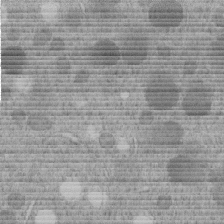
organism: C. elegans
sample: C. elegans embryo early stage